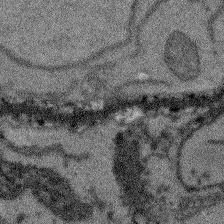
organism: Arabidopsis thaliana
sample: Root tip